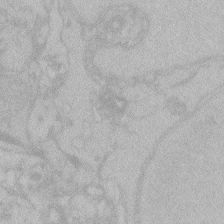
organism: Zebrafish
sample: Macrophage infected with Toxoplasma gondii